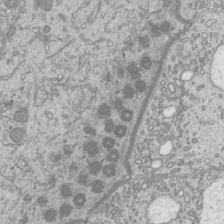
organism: Mouse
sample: Cilia; mouse epididymis